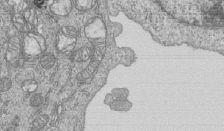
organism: Human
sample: MDA-MB-231 cells